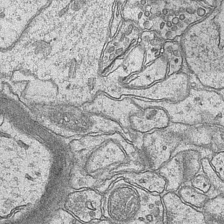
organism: Mouse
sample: CA1 Hippocampus